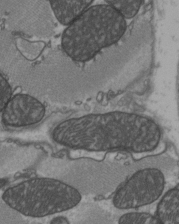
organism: C57BL Mouse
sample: Heart